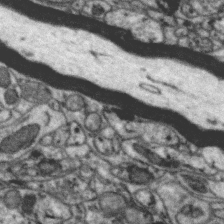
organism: Zebra finch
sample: Brain